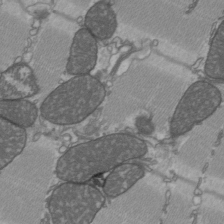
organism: C57BL Mouse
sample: Heart